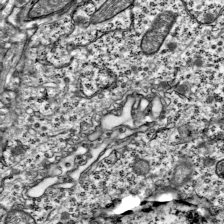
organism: Mouse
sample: Visual Cortex